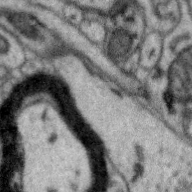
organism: Zebra finch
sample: Brain